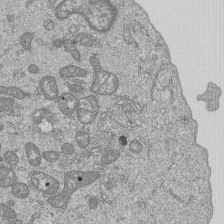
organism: Human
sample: MDA-MB-231 cells